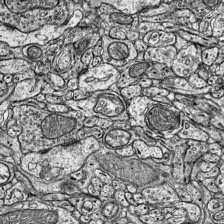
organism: Mouse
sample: Visual Cortex